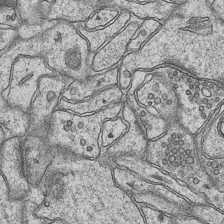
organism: Mouse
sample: CA1 Hippocampus